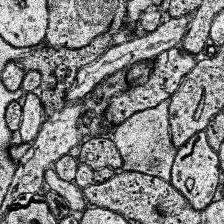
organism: Human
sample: Temporal Lobe